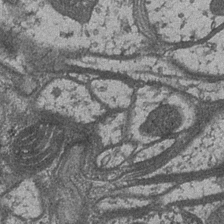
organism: Drosophila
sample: Optic medulla